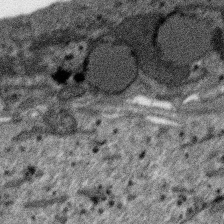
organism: Human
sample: Lung epithelial cells infected with SARS-CoV-2